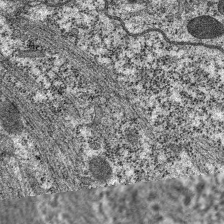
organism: C. elegans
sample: Pharynx